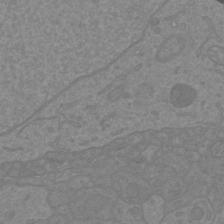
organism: Mouse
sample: Cortical neurons